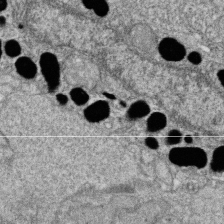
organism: Zebrafish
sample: Cilia; retinal pigment epithelium